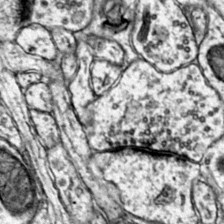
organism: Mouse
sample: Primary visual cortex